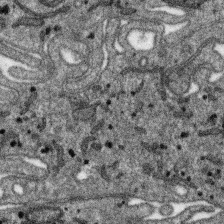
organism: Human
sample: Lung epithelial cells infected with SARS-CoV-2